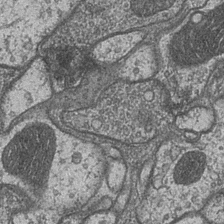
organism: Drosophila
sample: Optic medulla